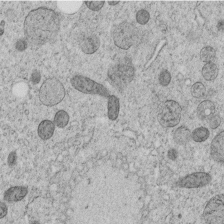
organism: C. elegans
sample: C. elegans embryo early stage